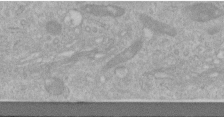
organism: Human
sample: Centriole in RPE cells